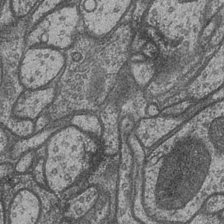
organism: Drosophila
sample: Optic medulla